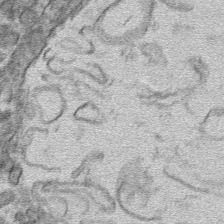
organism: Mouse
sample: Mouse hepatocytes